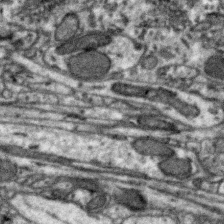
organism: Zebra finch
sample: Brain